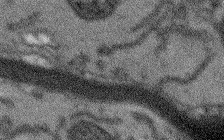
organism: Arabidopsis thaliana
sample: Root tip